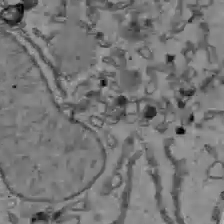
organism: C57BL Mouse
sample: Liver